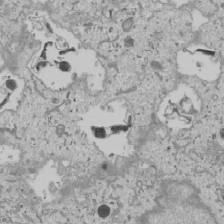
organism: Human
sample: Mitochondria in U2OS cells